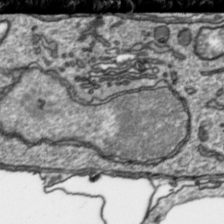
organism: Toxoplasma gondii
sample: Parasites in a vacuole inside a host cell